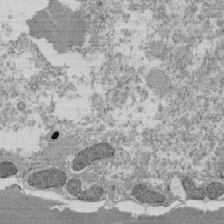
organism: Tetrahymena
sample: Cilia in tetrahymena